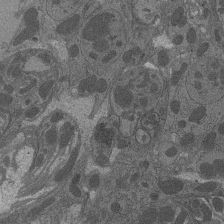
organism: Drosophila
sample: Antenna